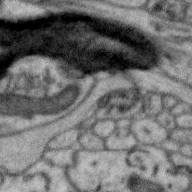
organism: Zebra finch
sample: Brain